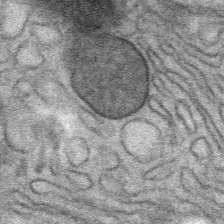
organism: Mouse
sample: Mouse Salivary gland